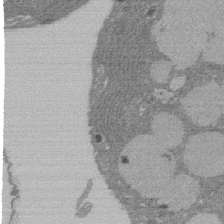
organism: Rat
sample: Salivary granule